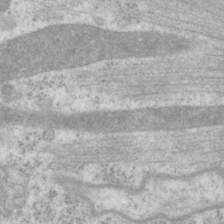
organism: P. pacificus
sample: Pharynx